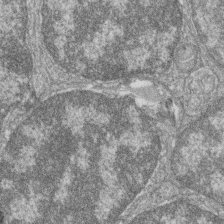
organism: Zebrafish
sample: Cilia; retinal pigment epithelium